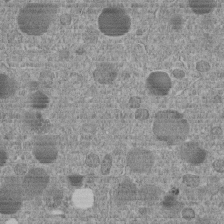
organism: C. elegans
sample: C. elegans embryo early stage